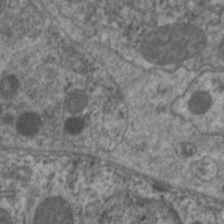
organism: C. elegans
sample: Pharynx